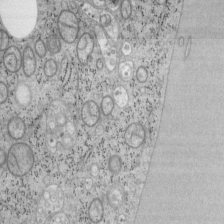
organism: Mouse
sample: OT-I killer T cells with ID8 ovarian cancer cells